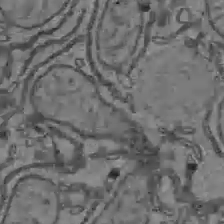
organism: C57BL Mouse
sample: Liver